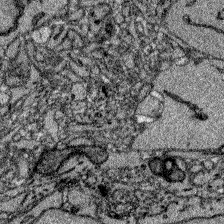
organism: Zebrafish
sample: Larval olfactory bulb